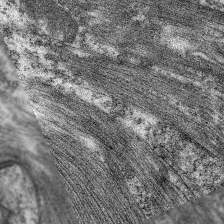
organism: C. elegans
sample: Pharynx